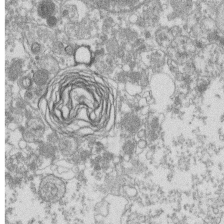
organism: Human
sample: HeLa cell HIV synapse